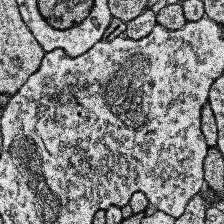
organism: Human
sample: Temporal Lobe